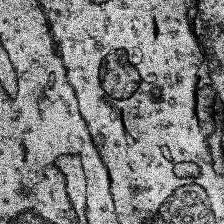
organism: Human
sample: Temporal Lobe